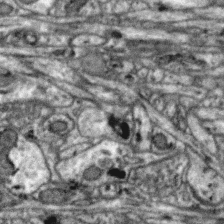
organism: Zebra finch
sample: Brain